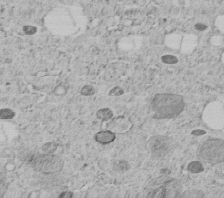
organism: C. elegans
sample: C. elegans embryo early stage